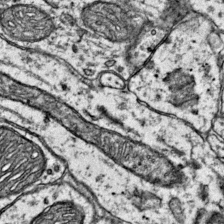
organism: Mouse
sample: Primary visual cortex